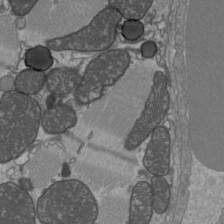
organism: C57BL Mouse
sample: Heart